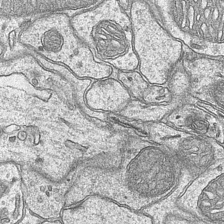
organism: Mouse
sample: CA1 Hippocampus